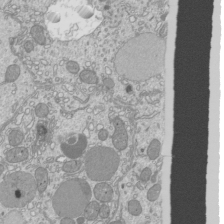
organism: Mouse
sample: Cilia; mouse epididymis